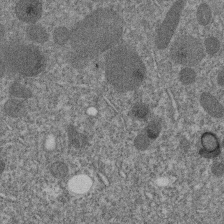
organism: C. elegans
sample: C. elegans embryo early stage